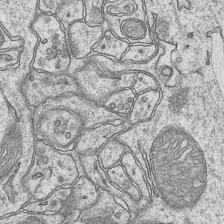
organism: Mouse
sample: CA1 Hippocampus